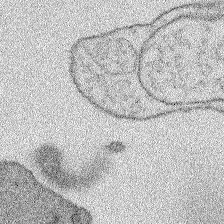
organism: Human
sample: HeLa cells